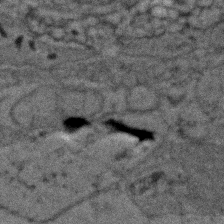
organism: Zebrafish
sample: Zebrafish embryo